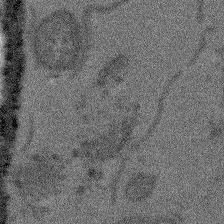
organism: Arabidopsis thaliana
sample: Root tip